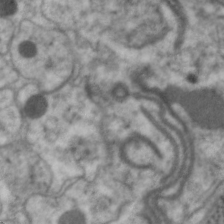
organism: C. elegans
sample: Pharynx